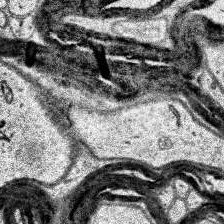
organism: Human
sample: Temporal Lobe